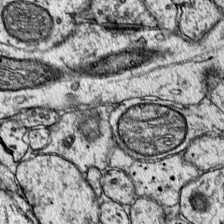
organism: Mouse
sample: Primary visual cortex